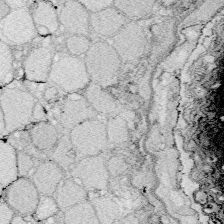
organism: Zebrafish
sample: Whole-Brain